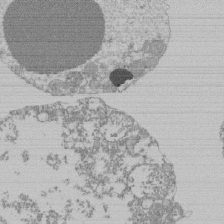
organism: Mouse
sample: Activated Pmel transgenic CD8+ T Cells